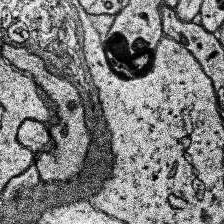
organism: Human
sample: Temporal Lobe